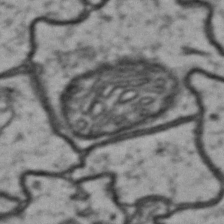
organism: Drosophila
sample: Brain